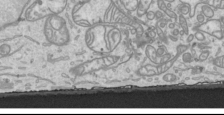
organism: Human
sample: Mitochondria in HCT116 cells